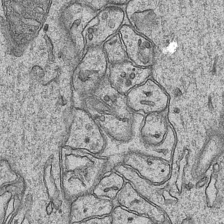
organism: Mouse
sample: CA1 Hippocampus